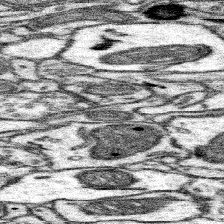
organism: Mouse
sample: Somatosensory cortex neuropil